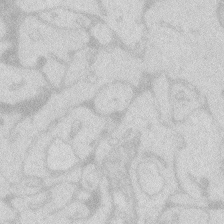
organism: Zebrafish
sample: Macrophage